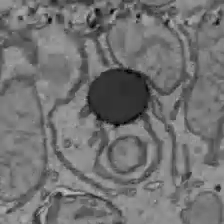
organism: C57BL Mouse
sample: Liver